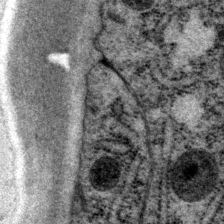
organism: P. pacificus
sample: Pharynx